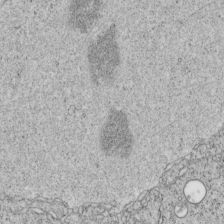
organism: C. elegans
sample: C. elegans embryo early stage